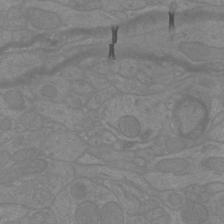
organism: Mouse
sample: Cortical neurons